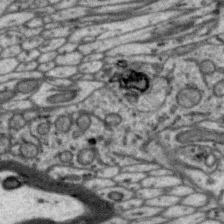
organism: Zebra finch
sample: Brain